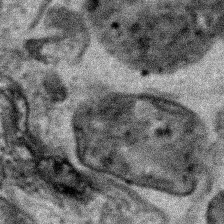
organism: Human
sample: Mitochondria in HCT116 cells